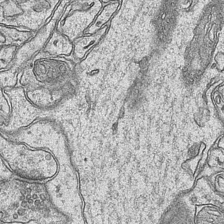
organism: Mouse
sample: CA1 Hippocampus